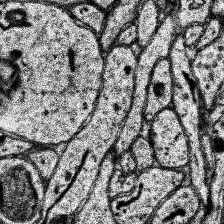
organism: Human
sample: Temporal Lobe